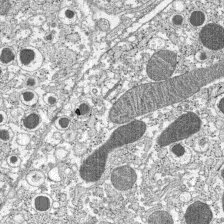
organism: C57BL Mouse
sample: Pancreatic islet